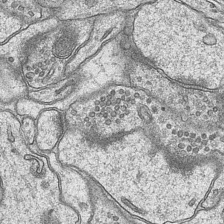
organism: Mouse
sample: CA1 Hippocampus